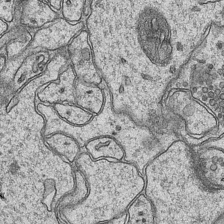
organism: Mouse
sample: CA1 Hippocampus